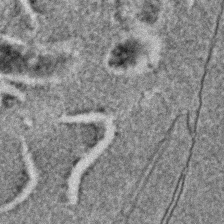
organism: C. elegans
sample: C. elegans embryo